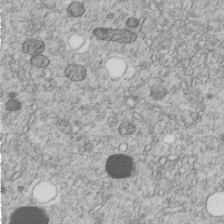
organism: C. elegans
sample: C. elegans embryo early stage